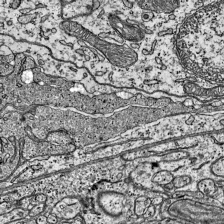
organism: Mouse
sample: Visual Cortex